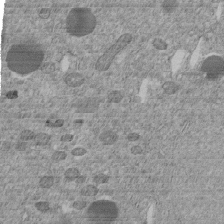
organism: C. elegans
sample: C. elegans embryo early stage